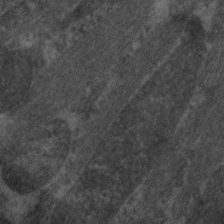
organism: C. elegans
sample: Pharynx